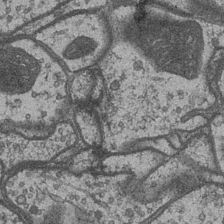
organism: Drosophila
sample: Optic medulla